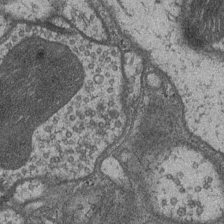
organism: Drosophila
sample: Optic medulla